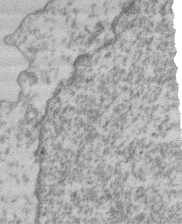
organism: Mouse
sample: T cell stromal cell synapse